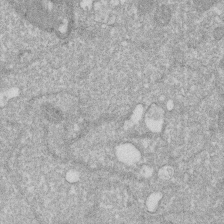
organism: Human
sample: HIV infected U937 cells